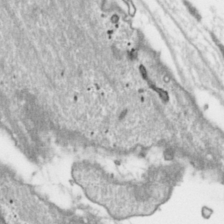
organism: Toxoplasma gondii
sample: Parasites in a vacuole inside a host cell